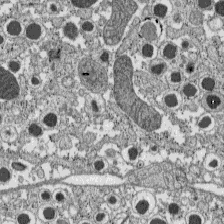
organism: C57BL Mouse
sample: Pancreatic islet